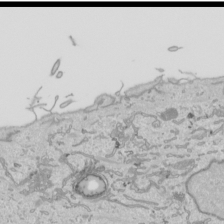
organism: Human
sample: Mitochondria in HCT116 cells